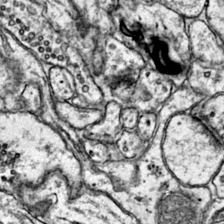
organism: Mouse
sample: Primary visual cortex